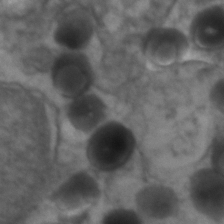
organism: Zebrafish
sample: Zebrafish embryo